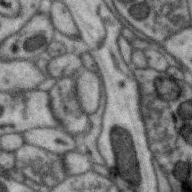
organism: Zebra finch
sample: Brain